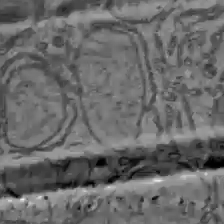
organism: C57BL Mouse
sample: Liver